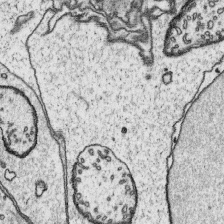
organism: Platynereis dumerilii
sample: Parapodia